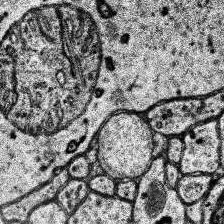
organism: Human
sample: Temporal Lobe